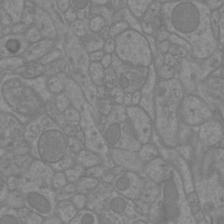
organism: Mouse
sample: Cortical neurons